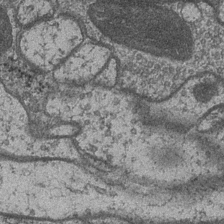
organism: Drosophila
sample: Optic medulla